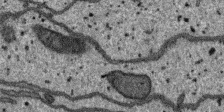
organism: Human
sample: Lung epithelial cells, uninfected (mock) control